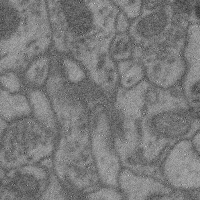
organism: Mouse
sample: Cerebral cortex